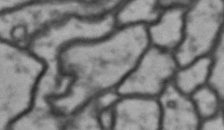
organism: Drosophila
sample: Brain